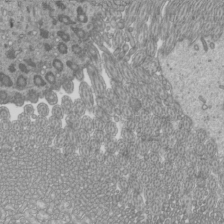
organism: Mouse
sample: Cilia; mouse epididymis